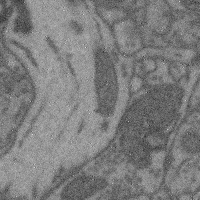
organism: Mouse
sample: Cerebral cortex